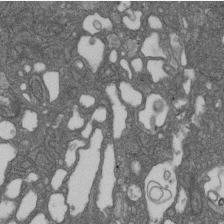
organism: Drosophila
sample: Nephrocyte